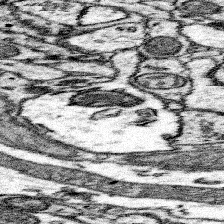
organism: Mouse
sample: Somatosensory cortex neuropil